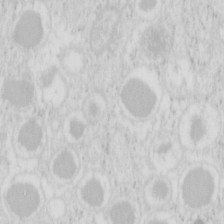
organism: Mouse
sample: Pancreas